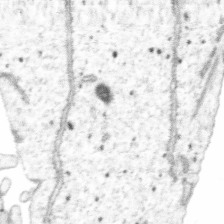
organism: Human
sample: HeLa cells